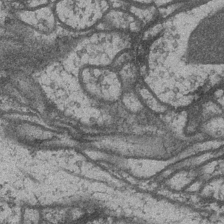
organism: Drosophila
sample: Optic medulla